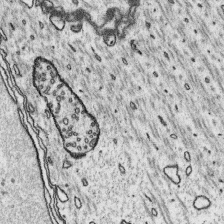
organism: Platynereis dumerilii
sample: Parapodia